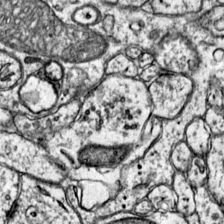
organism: Mouse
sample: Primary visual cortex